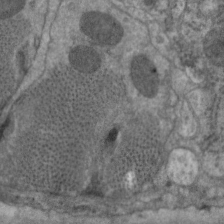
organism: C. elegans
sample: Pharynx